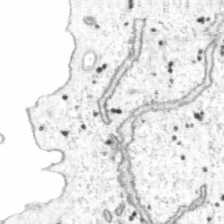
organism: Human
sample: HeLa cells